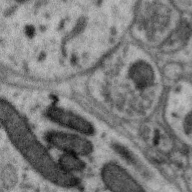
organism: Zebra finch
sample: Brain